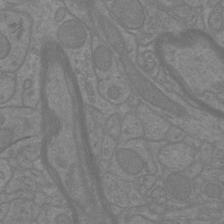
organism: Mouse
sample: Cortical neurons